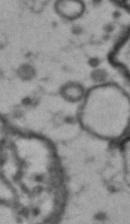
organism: Drosophila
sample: Brain